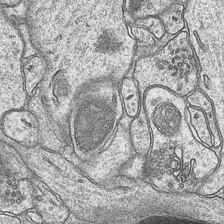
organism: Mouse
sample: CA1 Hippocampus